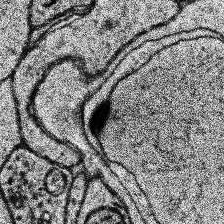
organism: Human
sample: Temporal Lobe